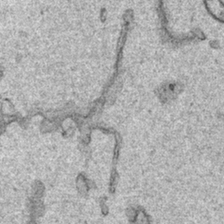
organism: Human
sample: Mitochondria in HCT116 cells